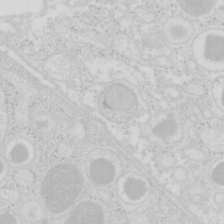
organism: Mouse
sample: Pancreas